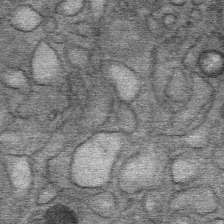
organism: Mouse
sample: Mouse Salivary gland